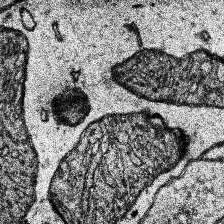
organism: Human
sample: Temporal Lobe